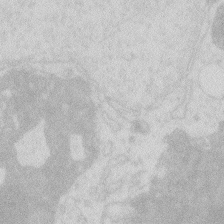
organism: Zebrafish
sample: Macrophage